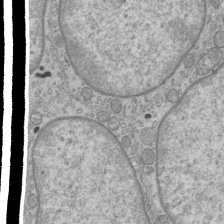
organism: Mouse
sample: Cilia; mouse epididymis